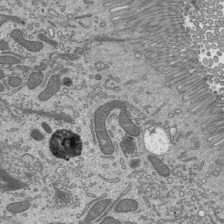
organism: Mouse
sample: Mouse epididymis efferent ductule cilia